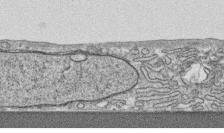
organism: Human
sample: CRL-1474